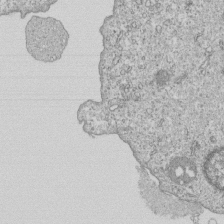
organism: Human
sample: MDA-MB-231 cells